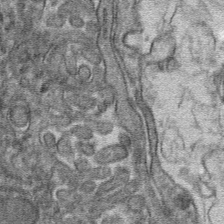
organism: Mouse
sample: Mouse hepatocytes